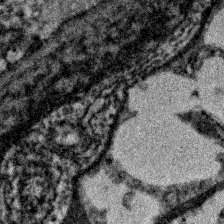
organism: Zebrafish